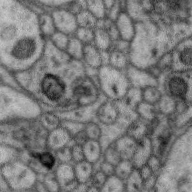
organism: Zebra finch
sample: Brain